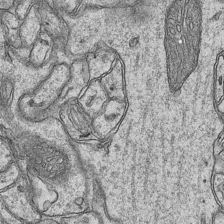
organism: Mouse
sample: CA1 Hippocampus